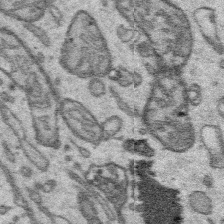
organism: Platynereis dumerilii